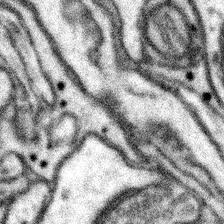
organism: Mouse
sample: Somatosensory cortex neuropil